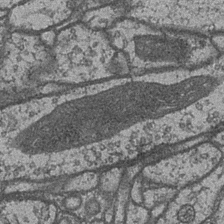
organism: Drosophila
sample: Optic medulla